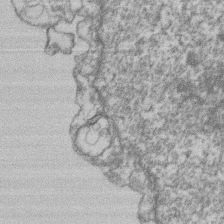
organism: Mouse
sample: T cell stromal cell synapse